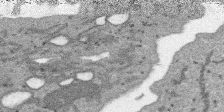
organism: Human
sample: Lung epithelial cells infected with SARS-CoV-2